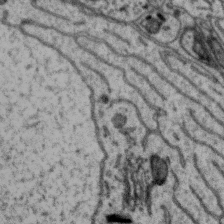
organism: Zebra finch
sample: Brain